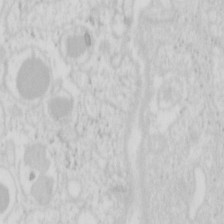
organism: Mouse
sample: Pancreas